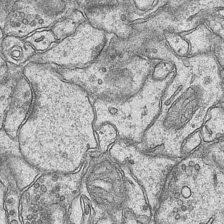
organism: Mouse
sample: CA1 Hippocampus